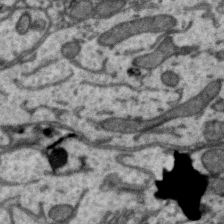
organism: Zebra finch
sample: Brain